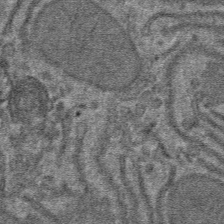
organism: Mouse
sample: Mouse hepatocytes